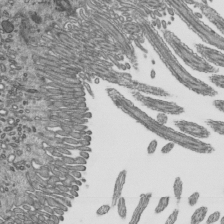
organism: Mouse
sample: Mouse epididymis efferent ductule cilia